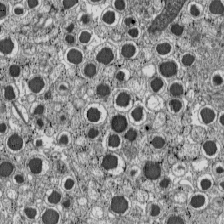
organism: C57BL Mouse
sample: Pancreatic islet